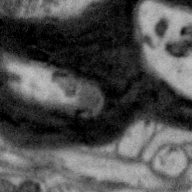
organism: Zebra finch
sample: Brain